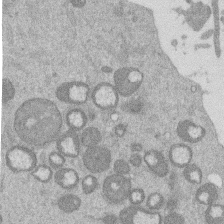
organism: Mouse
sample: Dividing mouse embryo 1 cell stage